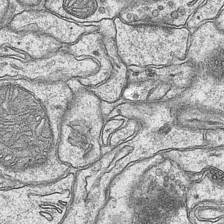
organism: Mouse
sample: CA1 Hippocampus